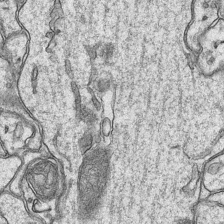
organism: Mouse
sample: CA1 Hippocampus